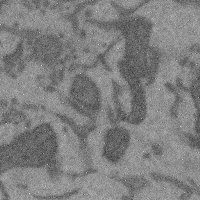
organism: Mouse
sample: Cerebral cortex